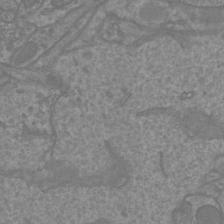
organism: Mouse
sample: Cortical neurons